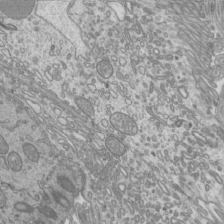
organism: Mouse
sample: Cilia; mouse epididymis